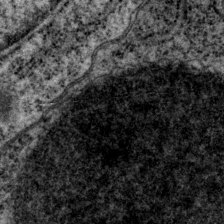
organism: P. pacificus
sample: Pharynx